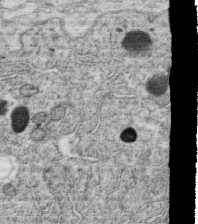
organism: C. elegans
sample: C. elegans oocyte; sperm cells